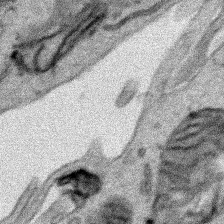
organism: Human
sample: Mitochondria in HCT116 cells